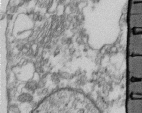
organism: Human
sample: Centriole in fibroblast cells